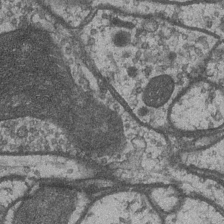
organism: Drosophila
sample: Optic medulla